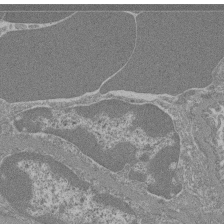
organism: Mouse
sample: Glomerulus